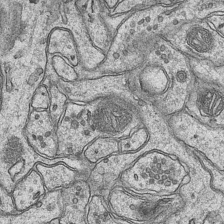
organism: Mouse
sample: CA1 Hippocampus